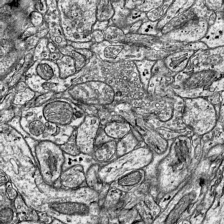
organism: Mouse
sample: Visual Cortex